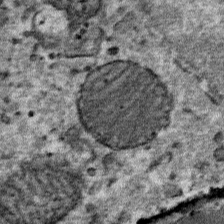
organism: Mouse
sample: Mouse Salivary gland